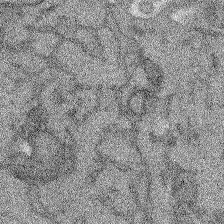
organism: Human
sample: HeLa cells